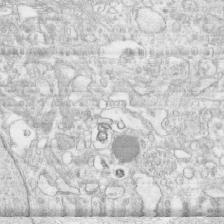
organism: Human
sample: CRL-1474